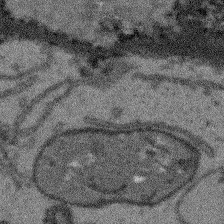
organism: Arabidopsis thaliana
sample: Root tip